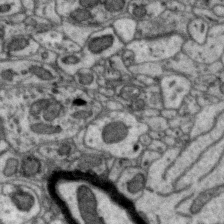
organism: Zebra finch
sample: Brain